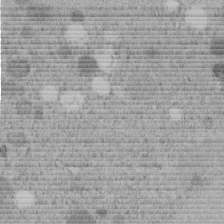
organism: C. elegans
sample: C. elegans embryo early stage